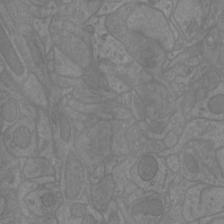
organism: Mouse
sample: Cortical neurons